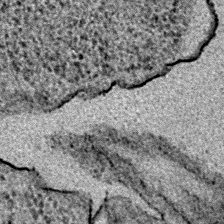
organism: E. coli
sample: E. Coli Bacteria